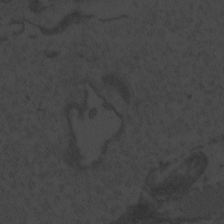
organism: Zebrafish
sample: Macrophage infected with Toxoplasma gondii